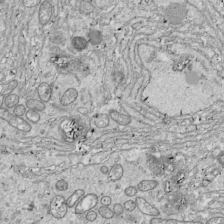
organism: Drosophila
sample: Cell division; meiosis; drosophila spermatocytes